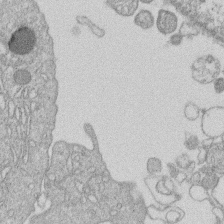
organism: Human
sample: Macrophage cells